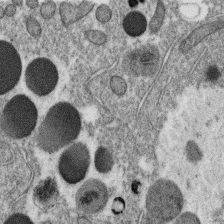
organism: C. elegans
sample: C. elegans oocyte; sperm cells